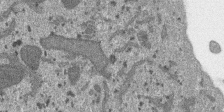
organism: Human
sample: Lung epithelial cells infected with SARS-CoV-2